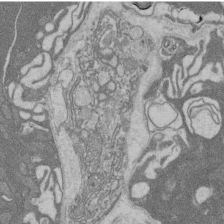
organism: Rat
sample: Salivary granule